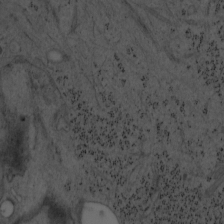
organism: Mouse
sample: OT-I killer T cells with ID8 ovarian cancer cells